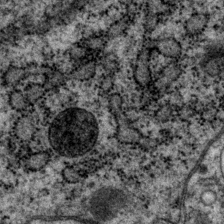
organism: P. pacificus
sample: Pharynx